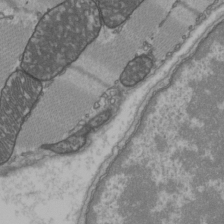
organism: C57BL Mouse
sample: Heart